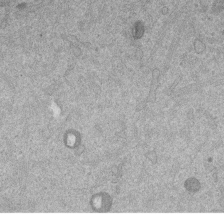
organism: Mouse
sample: Dividing mouse embryo 1 cell stage